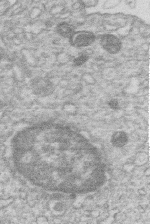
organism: Human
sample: Macrophage cells